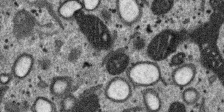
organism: Human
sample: Lung epithelial cells infected with SARS-CoV-2